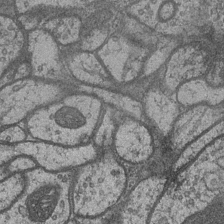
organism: Drosophila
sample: Optic medulla